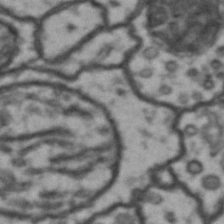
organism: Drosophila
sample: Brain